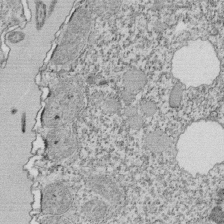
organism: Tetrahymena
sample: Cilia in tetrahymena